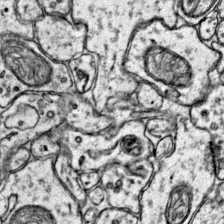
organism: Mouse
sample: Primary visual cortex